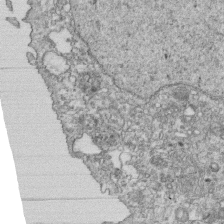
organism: Human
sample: HeLa cell HIV synapse